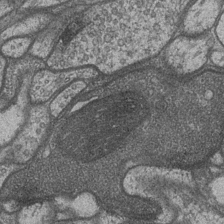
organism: Drosophila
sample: Optic medulla